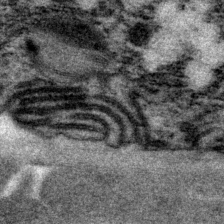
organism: P. pacificus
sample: Pharynx